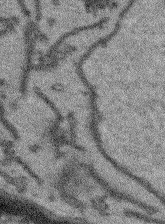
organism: Arabidopsis thaliana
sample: Root tip